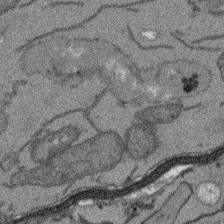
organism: Arabidopsis thaliana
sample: Root tip